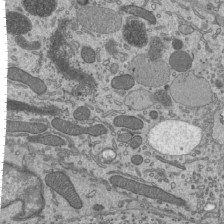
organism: Mouse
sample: Mouse epididymis efferent ductule cilia